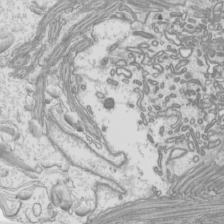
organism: Mouse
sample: Cilia; mouse epididymis